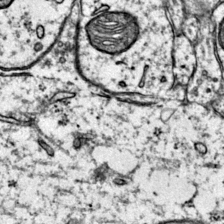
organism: Mouse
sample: Primary visual cortex